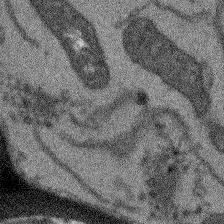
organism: Arabidopsis thaliana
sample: Root tip